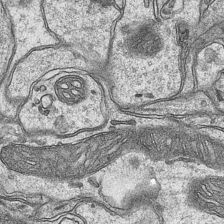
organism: Mouse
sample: CA1 Hippocampus